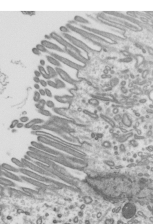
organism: Mouse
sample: Mouse epididymis efferent ductule cilia